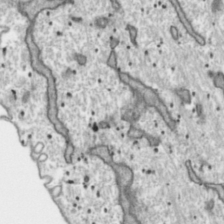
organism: Toxoplasma gondii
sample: Parasites in a vacuole inside a host cell